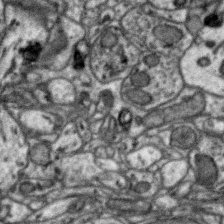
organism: Zebra finch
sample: Brain